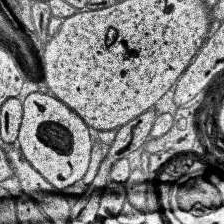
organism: Human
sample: Temporal Lobe